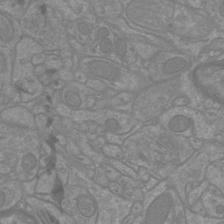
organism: Mouse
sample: Cortical neurons